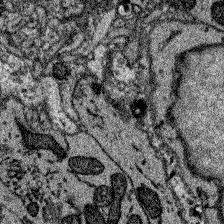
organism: Zebrafish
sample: Larval olfactory bulb